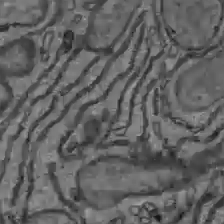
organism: C57BL Mouse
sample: Liver